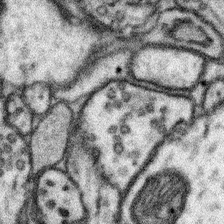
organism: Mouse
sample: Somatosensory cortex neuropil